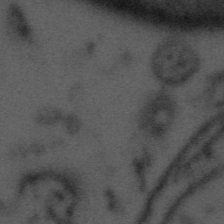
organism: Tuwongella immobilis